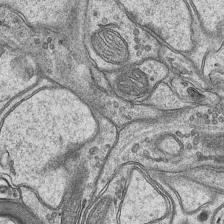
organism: Mouse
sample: CA1 Hippocampus